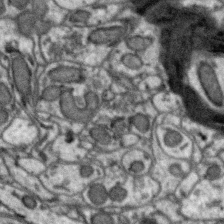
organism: Zebra finch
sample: Brain